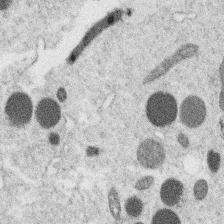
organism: C. elegans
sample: C. elegans oocyte; sperm cells